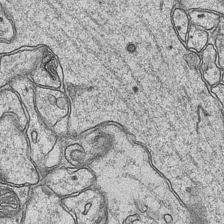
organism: Mouse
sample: CA1 Hippocampus